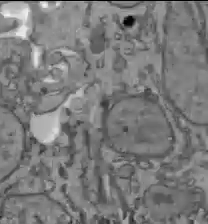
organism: C57BL Mouse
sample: Liver